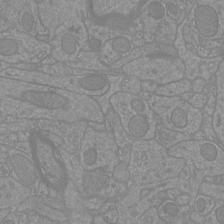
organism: Mouse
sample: Cortical neurons